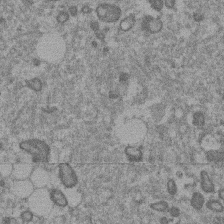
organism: Mouse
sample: Dividing mouse embryo 1 cell stage